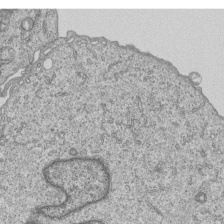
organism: Human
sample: MDA-MB-231 cells